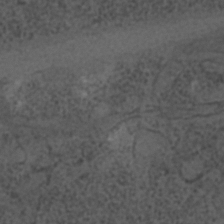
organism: C. elegans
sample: C. elegans embryo